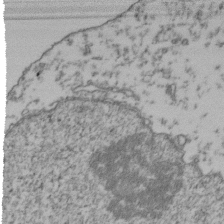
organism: Human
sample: Activated Jurkat CD4+ T cells